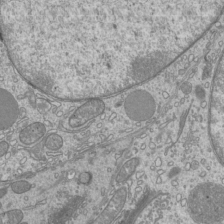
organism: Mouse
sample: Cilia; mouse epididymis